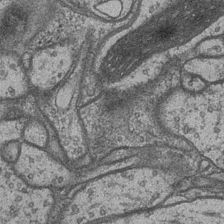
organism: Drosophila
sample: Optic medulla